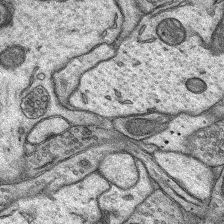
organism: Rat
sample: Hippocampus